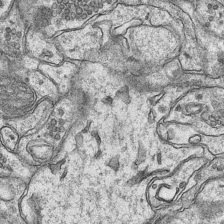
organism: Mouse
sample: CA1 Hippocampus